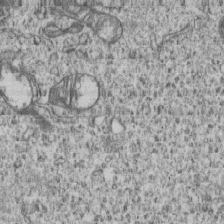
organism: Human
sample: MDA-MB-231 cells